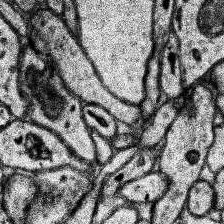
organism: Human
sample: Temporal Lobe